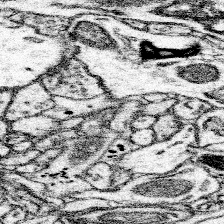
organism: Mouse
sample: Somatosensory cortex neuropil